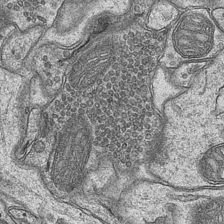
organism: Mouse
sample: CA1 Hippocampus